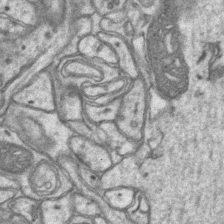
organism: Mouse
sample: CA1 Hippocampus